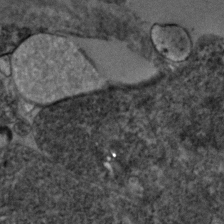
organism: Zebrafish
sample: Zebrafish embryo